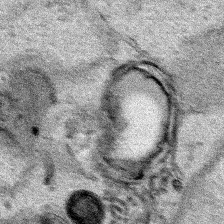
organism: Human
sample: Mitochondria in HCT116 cells